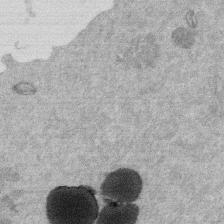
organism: Mouse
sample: Dividing mouse embryo 1 cell stage